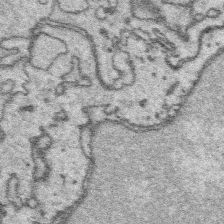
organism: Platynereis dumerilii